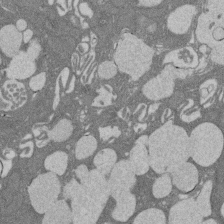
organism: Rat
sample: Salivary granule